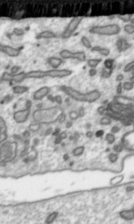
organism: Toxoplasma gondii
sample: Parasites in a vacuole inside a host cell